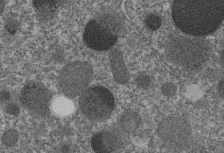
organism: C. elegans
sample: C. elegans embryo early stage